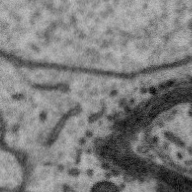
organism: Zebra finch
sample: Brain